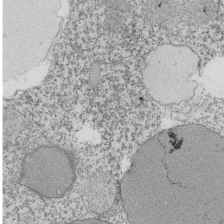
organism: Tetrahymena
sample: Cilia in tetrahymena